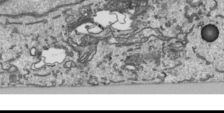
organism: Human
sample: Mitochondria in HCT116 cells